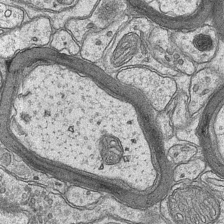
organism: Mouse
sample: CA1 Hippocampus